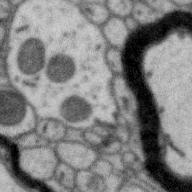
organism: Zebra finch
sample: Brain